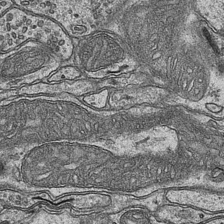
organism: Mouse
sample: CA1 Hippocampus